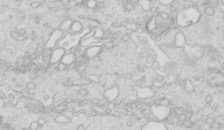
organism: Mouse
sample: Multiciliated cells